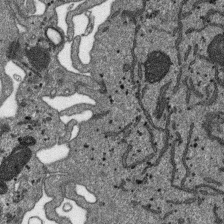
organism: Human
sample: Lung epithelial cells infected with SARS-CoV-2